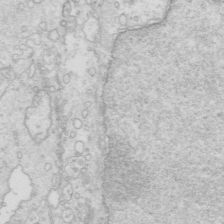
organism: Mouse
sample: Multiciliated cells